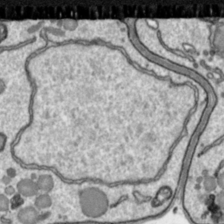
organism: Toxoplasma gondii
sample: Parasites in a vacuole inside a host cell